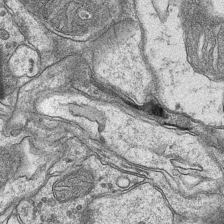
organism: Mouse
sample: CA1 Hippocampus